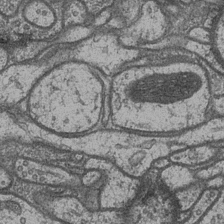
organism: Drosophila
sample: Optic medulla